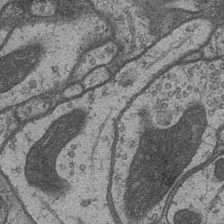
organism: Drosophila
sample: Optic medulla